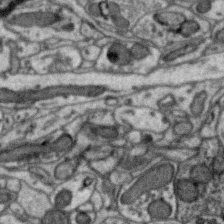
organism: Zebra finch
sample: Brain